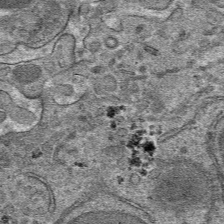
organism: Mouse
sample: Mouse hepatocytes